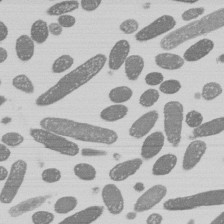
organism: E. coli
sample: Bacterial nucleoid